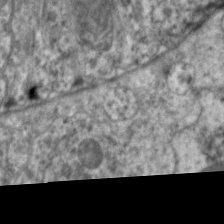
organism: C. elegans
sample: Pharynx